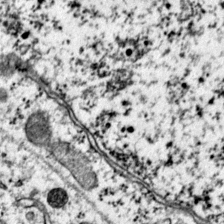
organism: Mouse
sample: Primary visual cortex